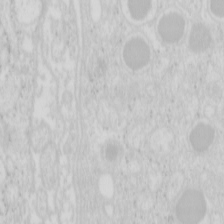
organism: Mouse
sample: Pancreas